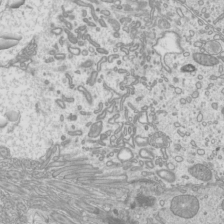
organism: Mouse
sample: Cilia; mouse epididymis